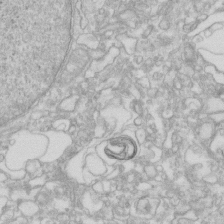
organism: Human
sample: Fibroblast cells